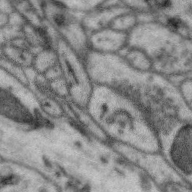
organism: Zebra finch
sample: Brain